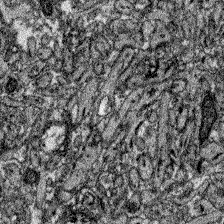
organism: Zebrafish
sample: Larval olfactory bulb